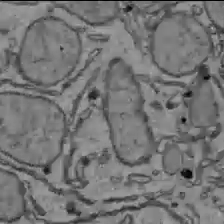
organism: C57BL Mouse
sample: Liver